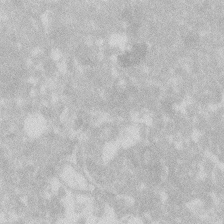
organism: Zebrafish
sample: Macrophage